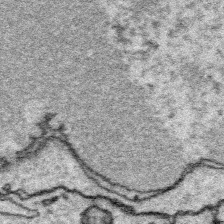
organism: Platynereis dumerilii